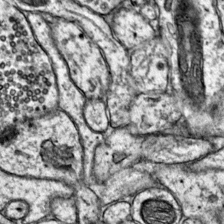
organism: Mouse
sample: Primary visual cortex